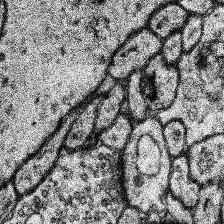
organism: Human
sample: Temporal Lobe